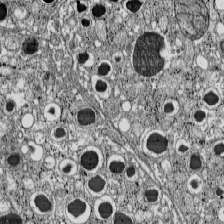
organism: C57BL Mouse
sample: Pancreatic islet